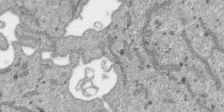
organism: Human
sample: Lung epithelial cells infected with SARS-CoV-2